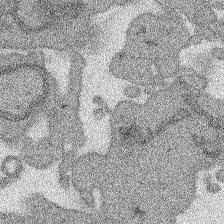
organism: Human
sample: HeLa cells